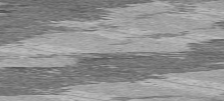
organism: C57BL Mouse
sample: Heart